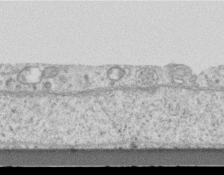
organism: Mouse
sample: Centriole in ependymal cells